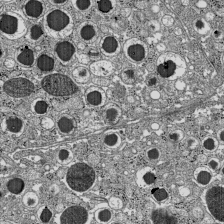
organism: C57BL Mouse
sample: Pancreatic islet